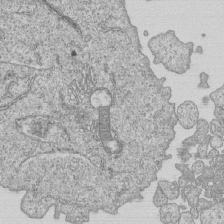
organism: Human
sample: MDA-MB-231 cells